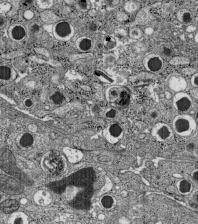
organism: C57BL Mouse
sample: Pancreatic islet